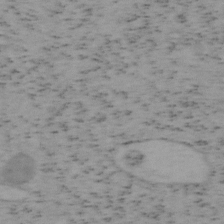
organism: Mouse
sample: OT-I killer T cells with ID8 ovarian cancer cells